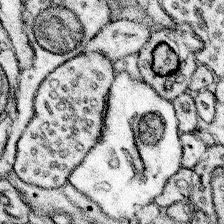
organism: Mouse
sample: Somatosensory cortex neuropil